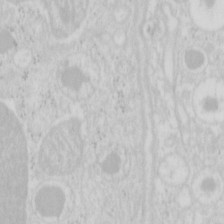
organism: Mouse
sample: Pancreas